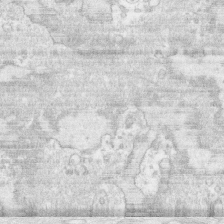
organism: Human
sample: CRL-1474